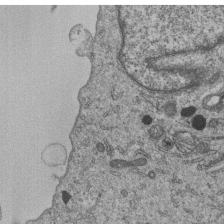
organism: Human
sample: MDA-MB-231 cells